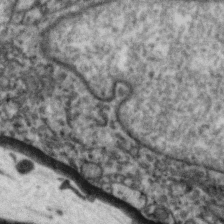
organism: Zebra finch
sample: Brain